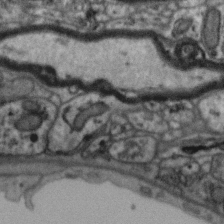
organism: Zebra finch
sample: Brain